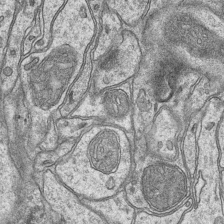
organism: Mouse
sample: CA1 Hippocampus